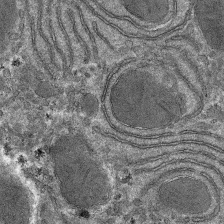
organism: Mouse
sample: Mouse hepatocytes